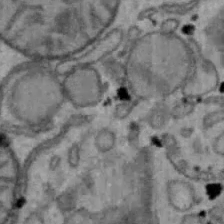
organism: Mouse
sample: Liver